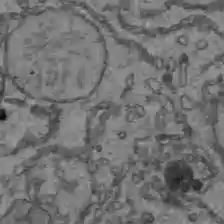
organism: C57BL Mouse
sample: Liver